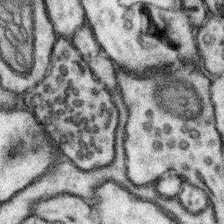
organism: Mouse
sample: Somatosensory cortex neuropil